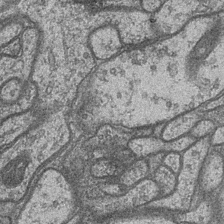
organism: Drosophila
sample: Optic medulla